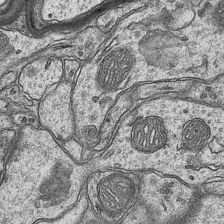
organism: Mouse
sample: CA1 Hippocampus